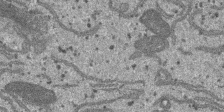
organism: Human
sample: Lung epithelial cells infected with SARS-CoV-2